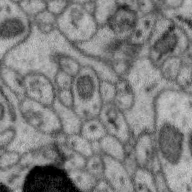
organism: Zebra finch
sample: Brain